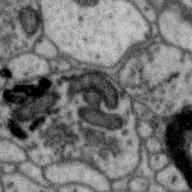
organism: Zebra finch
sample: Brain